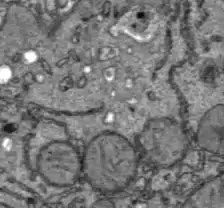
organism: C57BL Mouse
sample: Liver